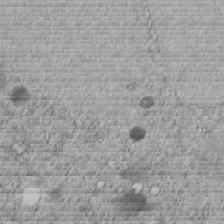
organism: C. elegans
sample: C. elegans embryo early stage